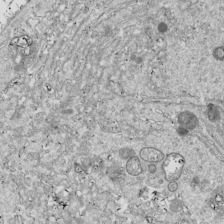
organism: Drosophila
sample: Cell division; meiosis; drosophila spermatocytes